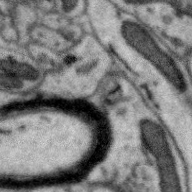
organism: Zebra finch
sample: Brain